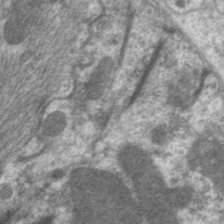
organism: C. elegans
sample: Pharynx